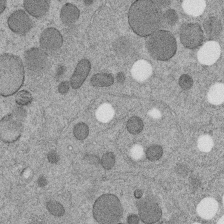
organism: C. elegans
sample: C. elegans embryo early stage